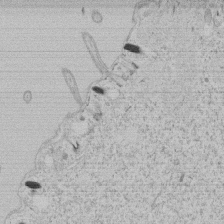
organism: Tetrahymena